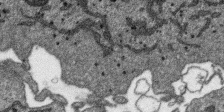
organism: Human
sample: Lung epithelial cells infected with SARS-CoV-2